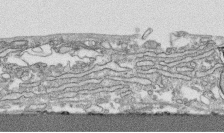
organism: Human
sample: CRL-1474